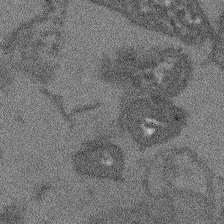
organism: Arabidopsis thaliana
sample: Root tip